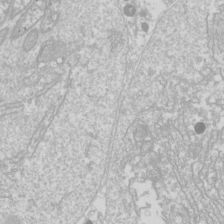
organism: Drosophila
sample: Cell division; meiosis; drosophila spermatocytes